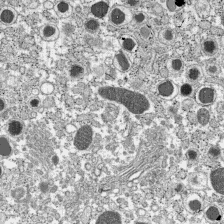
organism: C57BL Mouse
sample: Pancreatic islet